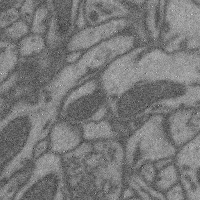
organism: Mouse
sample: Cerebral cortex